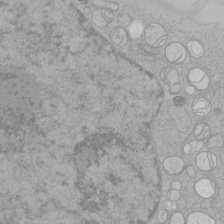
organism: Human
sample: Mitochondria in HCT116 cells